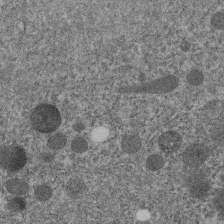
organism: C. elegans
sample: C. elegans embryo early stage